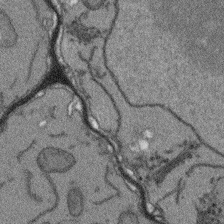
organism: Arabidopsis thaliana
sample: Root tip